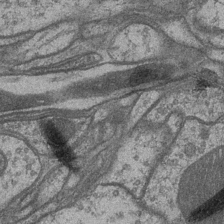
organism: Drosophila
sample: Optic medulla